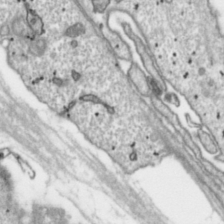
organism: Toxoplasma gondii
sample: Parasites in a vacuole inside a host cell